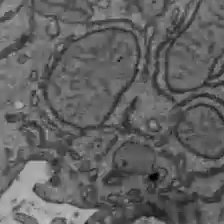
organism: C57BL Mouse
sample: Liver